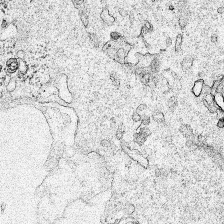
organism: Human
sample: Mitochondria in HCT116 cells